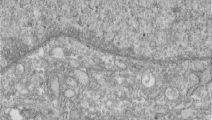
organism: Human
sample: Centriole in RPE cells